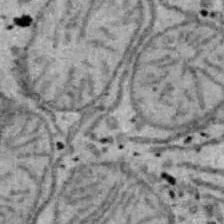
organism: Mouse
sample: Liver from an obese (ob/ob) mouse